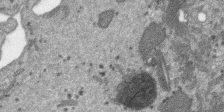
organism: Human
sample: Lung epithelial cells infected with SARS-CoV-2